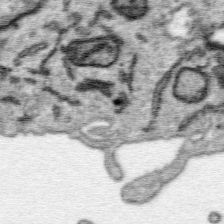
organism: Human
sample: HeLa cells